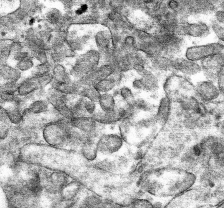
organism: Mouse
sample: Mouse hepatocytes